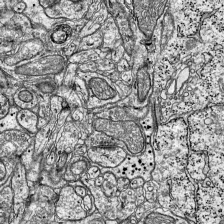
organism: Mouse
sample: Visual Cortex